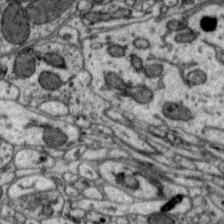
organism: Zebra finch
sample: Brain